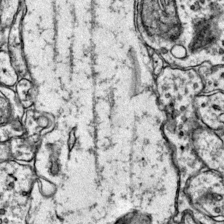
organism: Mouse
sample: Primary visual cortex